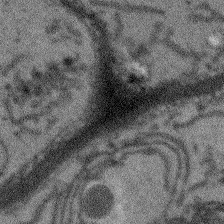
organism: Arabidopsis thaliana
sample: Root tip